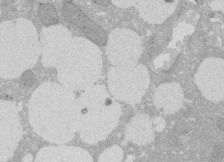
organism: Rat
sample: Salivary granule